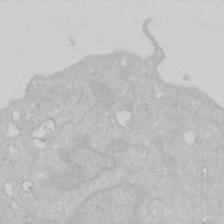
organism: Human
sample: HIV infected U937 cells